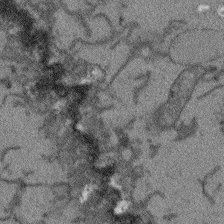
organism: Arabidopsis thaliana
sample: Root tip